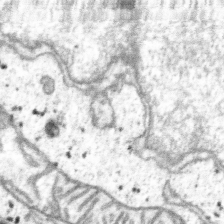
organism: Human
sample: HeLa cells